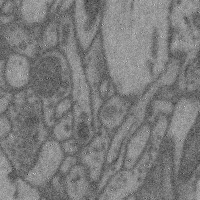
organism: Mouse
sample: Cerebral cortex